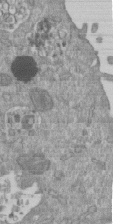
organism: Mouse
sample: ED-1 cell nuclei; centrioles